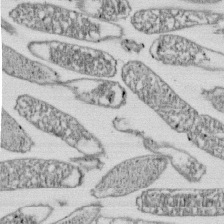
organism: E. coli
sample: Bacterial nucleoid